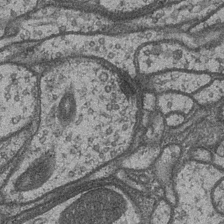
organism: Drosophila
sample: Optic medulla